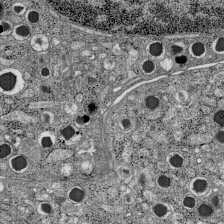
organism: C57BL Mouse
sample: Pancreatic islet